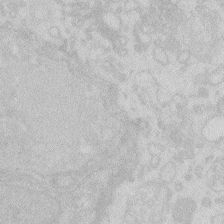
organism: Zebrafish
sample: Macrophage